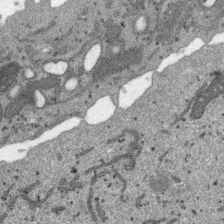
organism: Human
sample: Lung epithelial cells infected with SARS-CoV-2